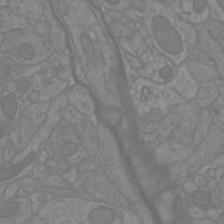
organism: Mouse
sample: Cortical neurons